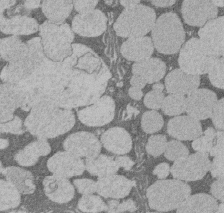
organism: Rat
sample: Salivary granule